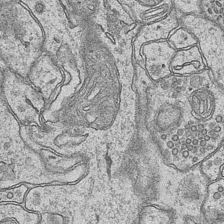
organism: Mouse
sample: CA1 Hippocampus